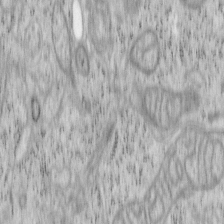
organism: Human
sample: HeLa cells